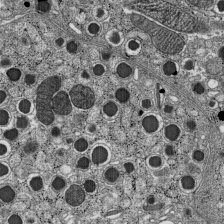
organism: C57BL Mouse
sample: Pancreatic islet